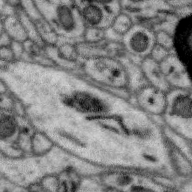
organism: Zebra finch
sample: Brain